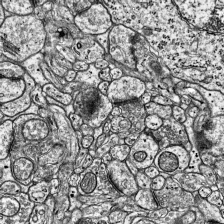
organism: Mouse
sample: Visual Cortex